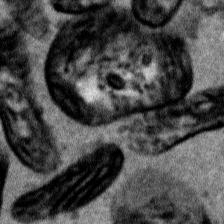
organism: Human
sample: Mitochondria in HCT116 cells